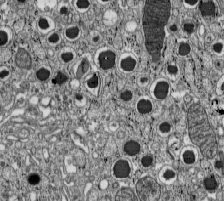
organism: C57BL Mouse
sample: Pancreatic islet